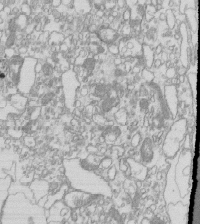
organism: Mouse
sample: Macrophages